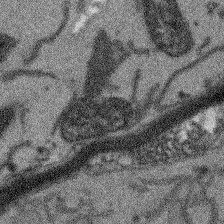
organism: Arabidopsis thaliana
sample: Root tip